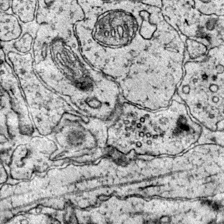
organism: Mouse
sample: Primary visual cortex